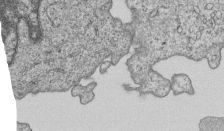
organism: Human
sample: MDA-MB-231 cells